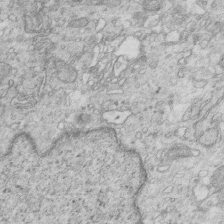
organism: Mouse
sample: Multiciliated cells